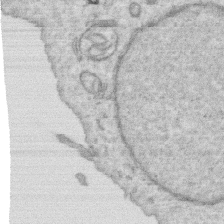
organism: Human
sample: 1205lu cells